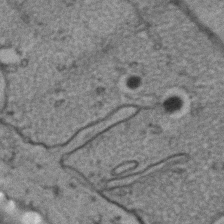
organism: C. elegans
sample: C. elegans embryo